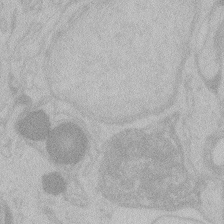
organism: Zebrafish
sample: Macrophage infected with Toxoplasma gondii